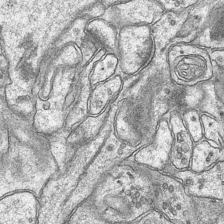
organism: Mouse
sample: CA1 Hippocampus